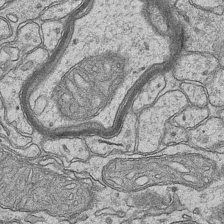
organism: Mouse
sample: CA1 Hippocampus